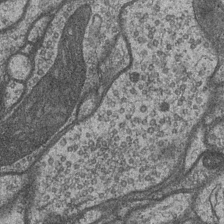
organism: Drosophila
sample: Optic medulla